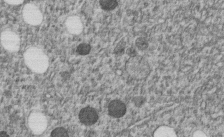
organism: C. elegans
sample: C. elegans embryo early stage